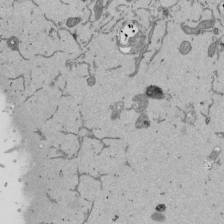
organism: Mouse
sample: ED-1 cell nuclei; centrioles